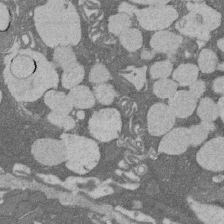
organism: Rat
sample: Salivary granule